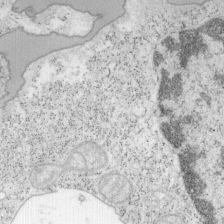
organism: Mouse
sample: OT-I killer T cells with ID8 ovarian cancer cells